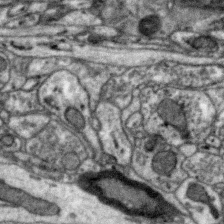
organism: Zebra finch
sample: Brain